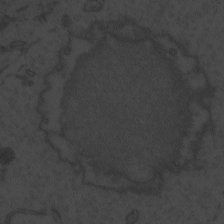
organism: Zebrafish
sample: Macrophage infected with Toxoplasma gondii